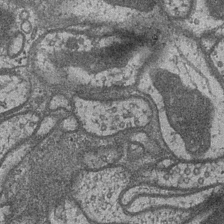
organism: Drosophila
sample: Optic medulla